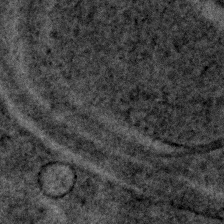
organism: Human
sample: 1205lu cells